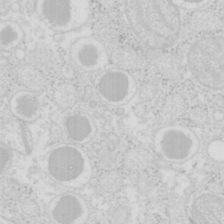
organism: Mouse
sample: Pancreas